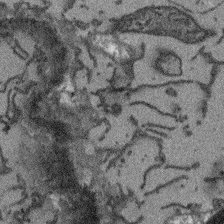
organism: Arabidopsis thaliana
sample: Root tip